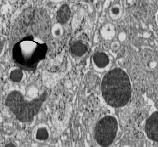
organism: C57BL Mouse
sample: Pancreatic islet